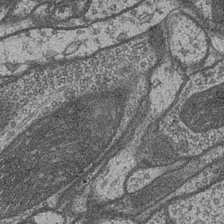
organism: Drosophila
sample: Optic medulla